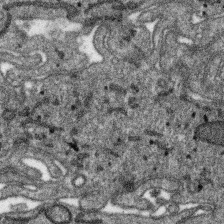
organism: Human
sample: Lung epithelial cells infected with SARS-CoV-2